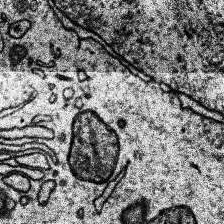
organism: Human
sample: Temporal Lobe